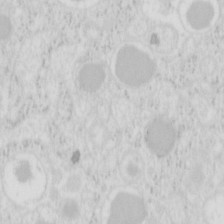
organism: Mouse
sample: Pancreas